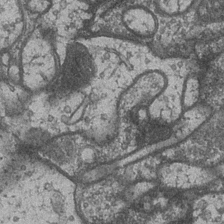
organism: Drosophila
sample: Optic medulla